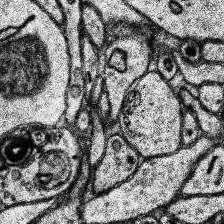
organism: Human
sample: Temporal Lobe